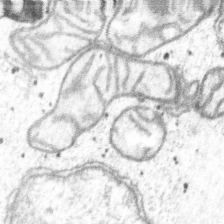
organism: Human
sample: HeLa cells